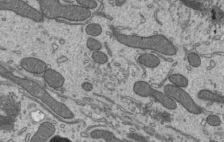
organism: Mouse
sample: Mouse epididymis efferent ductule cilia